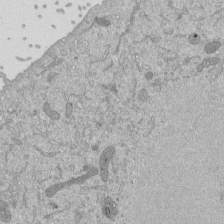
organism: Mouse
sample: ED-1 cell nuclei; centrioles